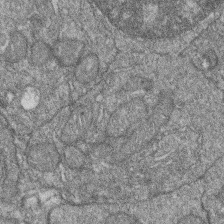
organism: Zebrafish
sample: Cilia; retinal pigment epithelium